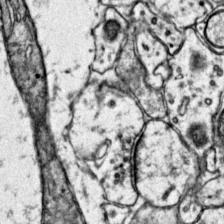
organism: Mouse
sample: Primary visual cortex